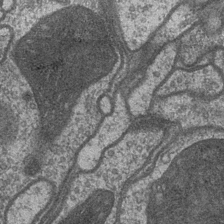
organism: Drosophila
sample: Optic medulla